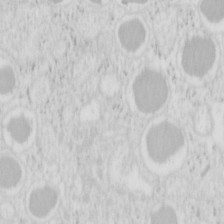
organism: Mouse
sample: Pancreas